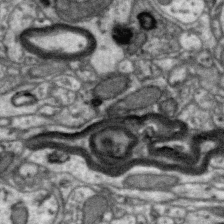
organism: Zebra finch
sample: Brain